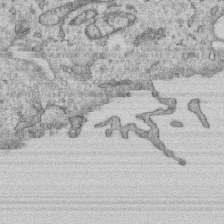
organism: Human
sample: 1205lu cells